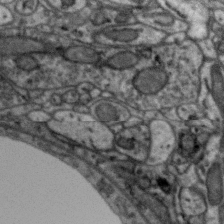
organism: Zebra finch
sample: Brain